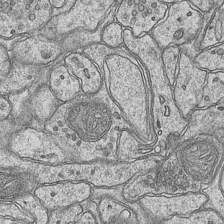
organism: Mouse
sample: CA1 Hippocampus